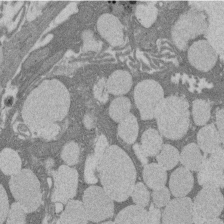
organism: Rat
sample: Salivary granule